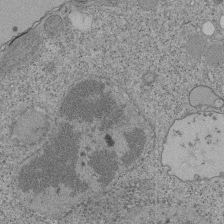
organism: Tetrahymena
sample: Cilia in tetrahymena